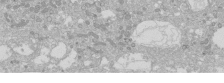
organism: Human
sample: Caco-2 cells